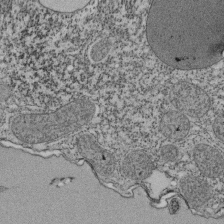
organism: Tetrahymena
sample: Cilia in tetrahymena